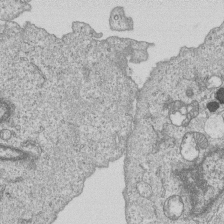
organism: Human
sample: MDA-MB-231 cells